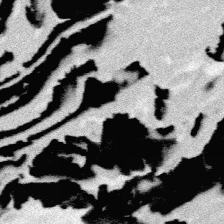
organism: Platynereis dumerilii